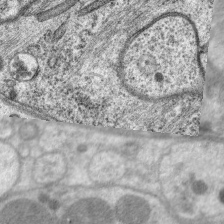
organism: C. elegans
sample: Pharynx